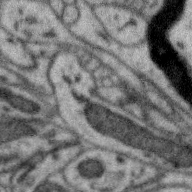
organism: Zebra finch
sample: Brain